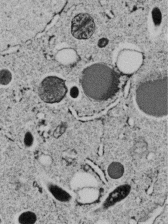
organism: C. elegans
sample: C. elegans embryo early stage